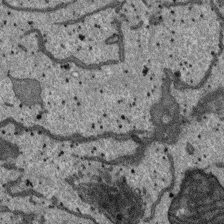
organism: Human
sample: Lung epithelial cells, uninfected (mock) control